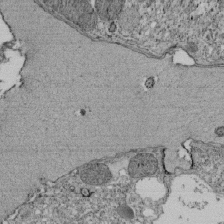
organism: Tetrahymena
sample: Cilia in tetrahymena